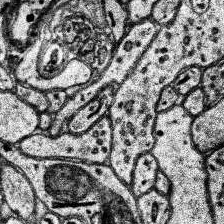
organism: Human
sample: Temporal Lobe